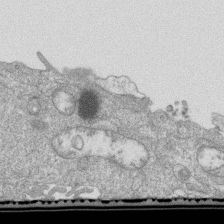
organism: Human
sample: HeLa cell HIV synapse